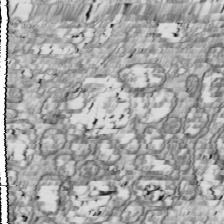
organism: Drosophila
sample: Cell division; meiosis; drosophila spermatocytes